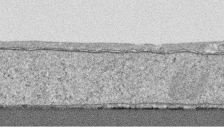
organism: Human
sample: CRL-1474